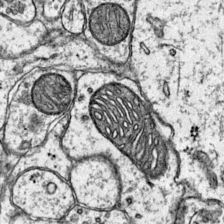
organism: Mouse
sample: Primary visual cortex